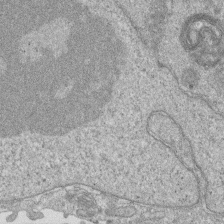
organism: Human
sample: HeLa cell HIV synapse